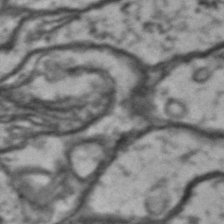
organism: Drosophila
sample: Brain